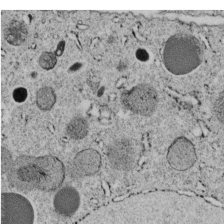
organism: C. elegans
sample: C. elegans embryo early stage